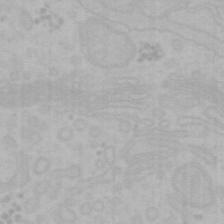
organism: Mouse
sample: Choroid plexus